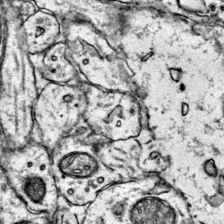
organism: Mouse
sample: Primary visual cortex